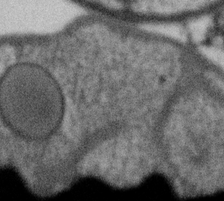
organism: Gemmata obscuriglobus